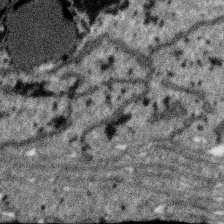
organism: Human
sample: Lung epithelial cells infected with SARS-CoV-2